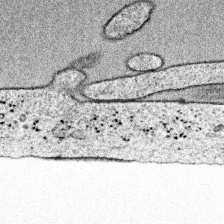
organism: Human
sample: HeLa cells